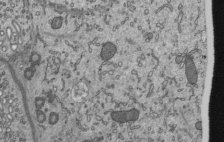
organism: Mouse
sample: Mouse epididymis efferent ductule cilia